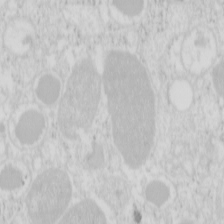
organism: Mouse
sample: Pancreas